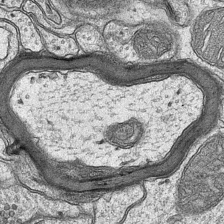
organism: Mouse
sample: CA1 Hippocampus